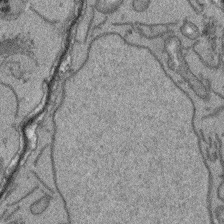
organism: Arabidopsis thaliana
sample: Root tip